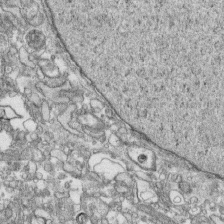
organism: Human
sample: CRL-1474